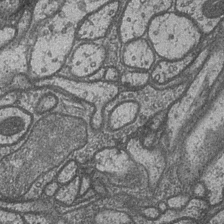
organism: Drosophila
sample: Optic medulla